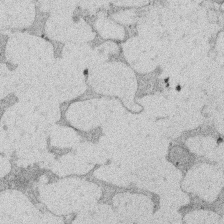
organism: Rat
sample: Salivary granule